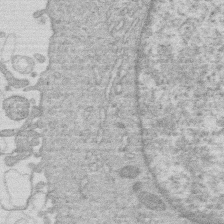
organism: Human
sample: Macrophage cells